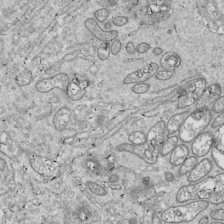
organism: Drosophila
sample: Cell division; meiosis; drosophila spermatocytes